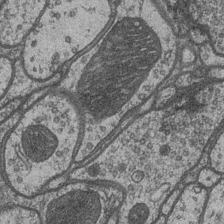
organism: Drosophila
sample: Optic medulla